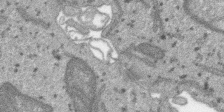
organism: Human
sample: Lung epithelial cells infected with SARS-CoV-2